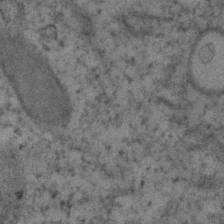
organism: Human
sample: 1205lu cells